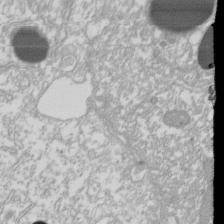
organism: Xenopus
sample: Cilia; centrioles in frog embryo cells